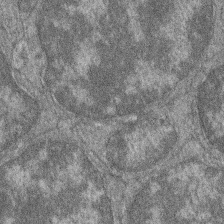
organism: Zebrafish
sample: Cilia; retinal pigment epithelium